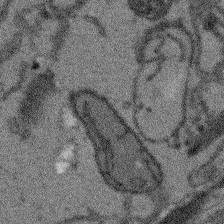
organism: Arabidopsis thaliana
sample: Root tip